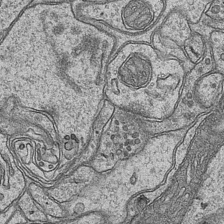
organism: Mouse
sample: CA1 Hippocampus